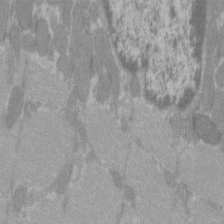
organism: C57BL Mouse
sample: Tibialis anterior muscle cell